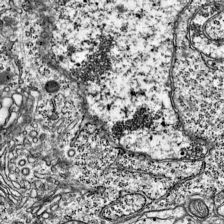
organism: Mouse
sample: Visual Cortex